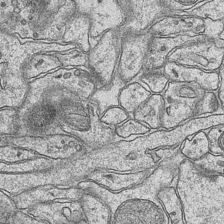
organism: Mouse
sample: CA1 Hippocampus